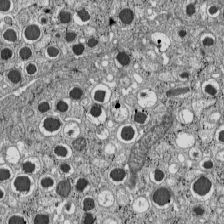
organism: C57BL Mouse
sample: Pancreatic islet